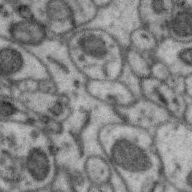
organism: Zebra finch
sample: Brain